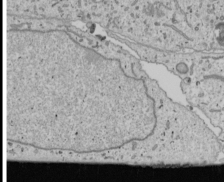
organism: Human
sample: Mitochondria in U2OS cells